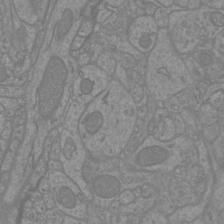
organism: Mouse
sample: Cortical neurons